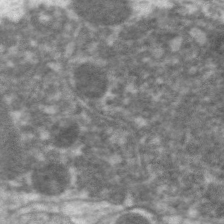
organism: C. elegans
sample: Pharynx